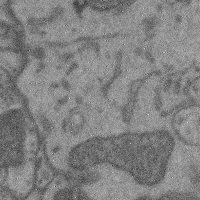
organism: Mouse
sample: Cerebral cortex